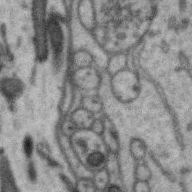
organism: Zebra finch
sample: Brain